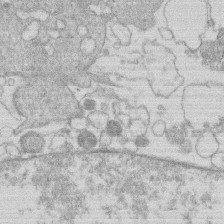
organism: Human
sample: Macrophage cells